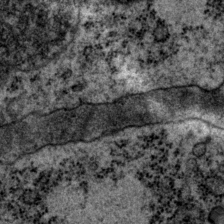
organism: P. pacificus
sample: Pharynx